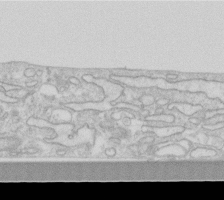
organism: Human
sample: Fibroblast cells